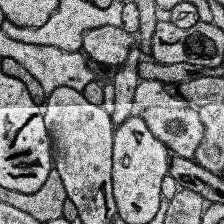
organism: Human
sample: Temporal Lobe